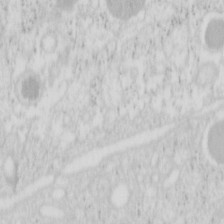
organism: Mouse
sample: Pancreas